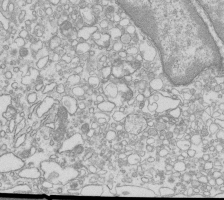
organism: Mouse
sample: Macrophages